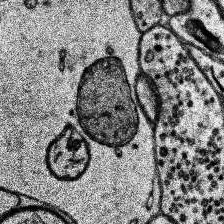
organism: Human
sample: Temporal Lobe